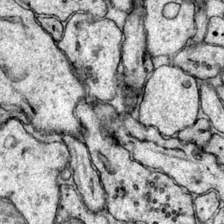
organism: Mouse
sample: Primary visual cortex